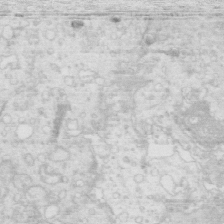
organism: Mouse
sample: Multiciliated cells